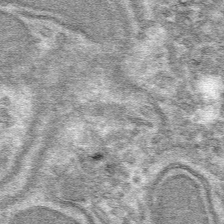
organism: Mouse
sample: Mouse hepatocytes